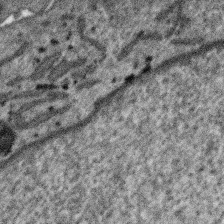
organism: Human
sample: Lung epithelial cells infected with SARS-CoV-2